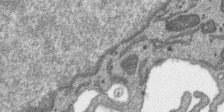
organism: Human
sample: Lung epithelial cells infected with SARS-CoV-2